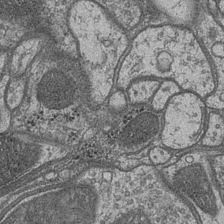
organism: Drosophila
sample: Optic medulla